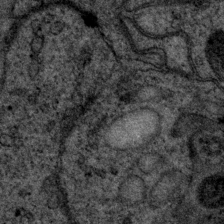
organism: P. pacificus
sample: Pharynx